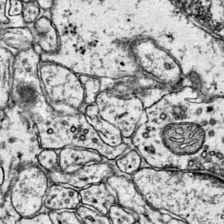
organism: Mouse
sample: Primary visual cortex